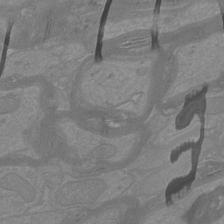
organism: Mouse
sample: Cortical neurons